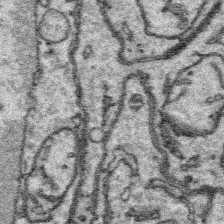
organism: Platynereis dumerilii